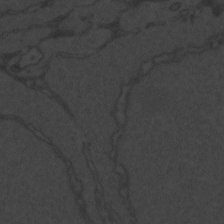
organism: Zebrafish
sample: Macrophage infected with Toxoplasma gondii